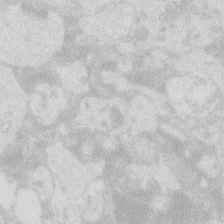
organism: Zebrafish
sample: Macrophage